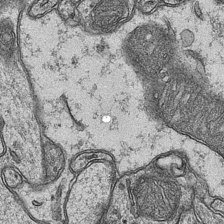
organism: Mouse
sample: CA1 Hippocampus